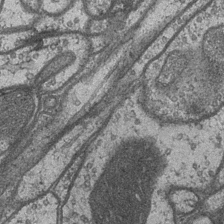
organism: Drosophila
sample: Optic medulla